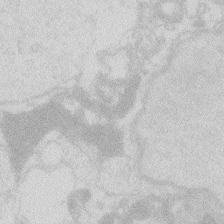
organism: Zebrafish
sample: Macrophage